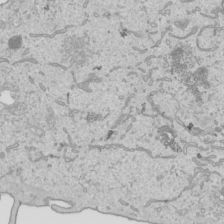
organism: Human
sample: Mitochondria in HCT116 cells